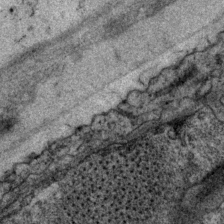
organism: P. pacificus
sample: Pharynx